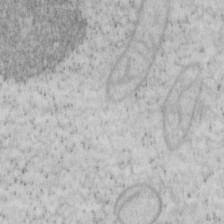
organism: Human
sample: HeLa cells